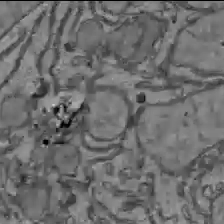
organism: C57BL Mouse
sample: Liver